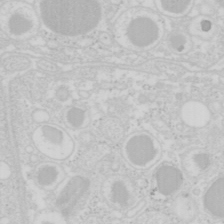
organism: Mouse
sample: Pancreas